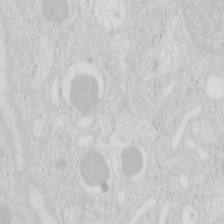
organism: Mouse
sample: Pancreas